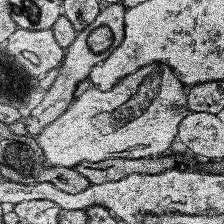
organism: Human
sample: Temporal Lobe